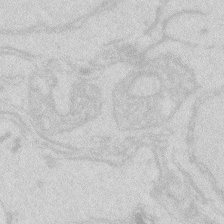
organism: Zebrafish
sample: Macrophage